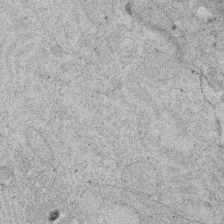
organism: Rat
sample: Salivary granule